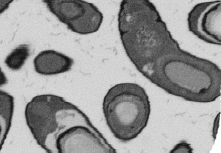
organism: B. subtilis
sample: Bacterial spore